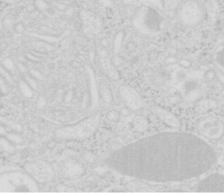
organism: Mouse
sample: Pancreas